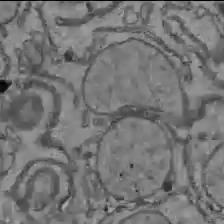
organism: C57BL Mouse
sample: Liver